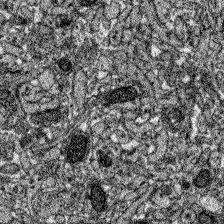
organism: Zebrafish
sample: Larval olfactory bulb